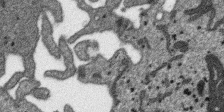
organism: Human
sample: Lung epithelial cells infected with SARS-CoV-2